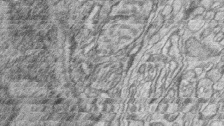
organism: Zebrafish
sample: synaptic ribbons in rod cells and cone cells